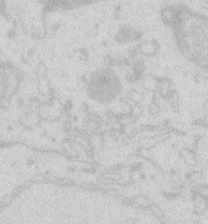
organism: Zebrafish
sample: Macrophage